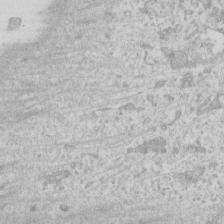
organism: Human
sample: Fibroblast cells